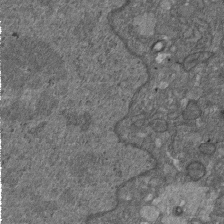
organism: Drosophila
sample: Nephrocyte